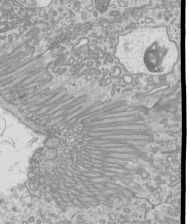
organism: Mouse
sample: Cilia; mouse epididymis